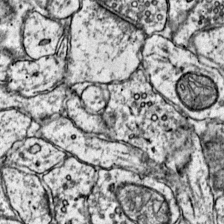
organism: Mouse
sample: Primary visual cortex